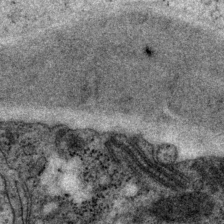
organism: P. pacificus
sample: Pharynx